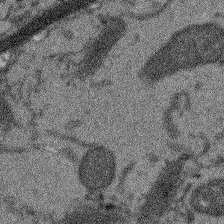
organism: Arabidopsis thaliana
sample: Root tip